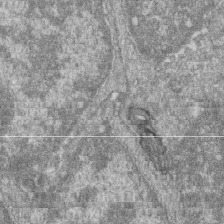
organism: Zebrafish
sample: Cilia; retinal pigment epithelium